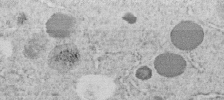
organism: C. elegans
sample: C. elegans embryo early stage